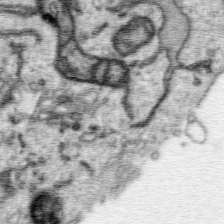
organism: Human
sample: HeLa cells